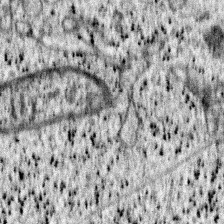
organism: Human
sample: HeLa cells